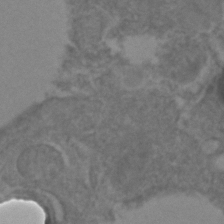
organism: C. elegans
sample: C. elegans embryo